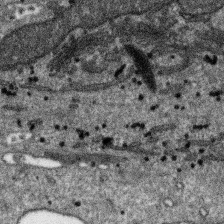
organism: Human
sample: Lung epithelial cells infected with SARS-CoV-2